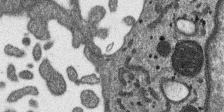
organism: Human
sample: Lung epithelial cells infected with SARS-CoV-2